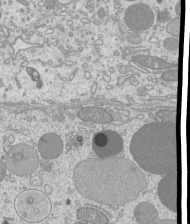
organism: Mouse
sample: Cilia; mouse epididymis